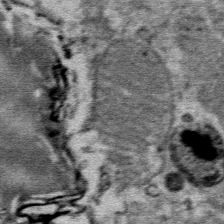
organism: Mouse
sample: Mouse Salivary gland